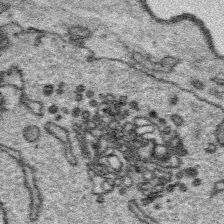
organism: Platynereis dumerilii